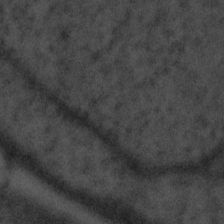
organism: Tuwongella immobilis